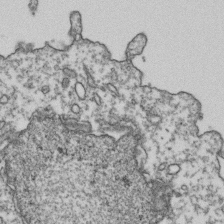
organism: Human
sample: Activated Jurkat CD4+ T cells